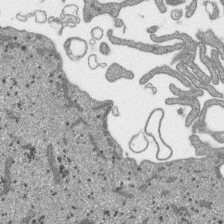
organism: Human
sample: Lung epithelial cells infected with SARS-CoV-2